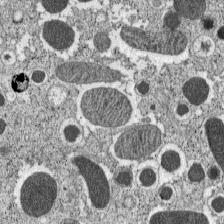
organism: C57BL Mouse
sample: Pancreatic islet